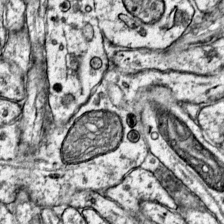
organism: Mouse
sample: Primary visual cortex